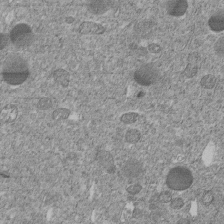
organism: C. elegans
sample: C. elegans embryo early stage